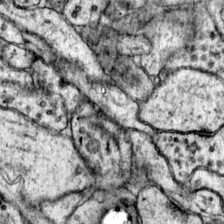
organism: Mouse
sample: Primary visual cortex